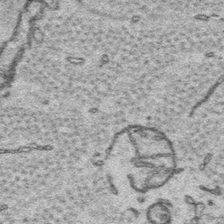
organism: Platynereis dumerilii